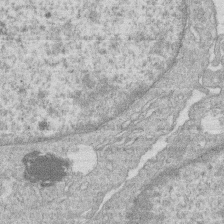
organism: Human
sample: Macrophage cells